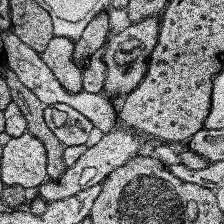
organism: Human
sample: Temporal Lobe